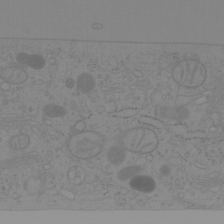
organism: Human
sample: HeLa cells